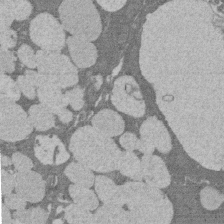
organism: Rat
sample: Salivary granule